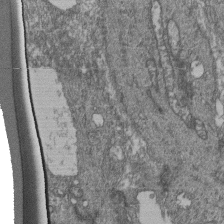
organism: Human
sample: Retinal organoid Rod and Cone cells